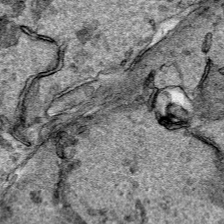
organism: Human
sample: Mitochondria in HCT116 cells